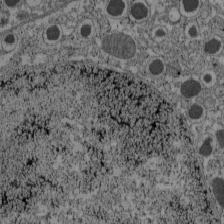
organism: C57BL Mouse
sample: Pancreatic islet